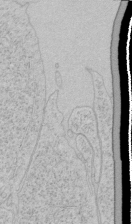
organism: Human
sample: Mitochondria in HCT116 cells